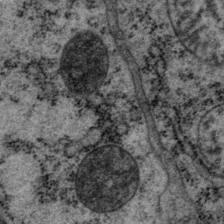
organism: P. pacificus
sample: Pharynx